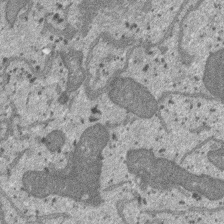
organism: Human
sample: Lung epithelial cells infected with SARS-CoV-2